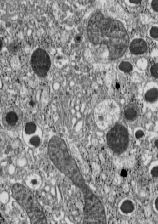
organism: C57BL Mouse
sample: Pancreatic islet